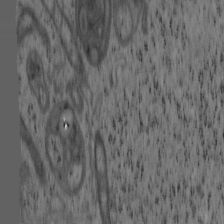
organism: Human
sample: HeLa cells